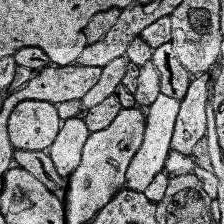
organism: Human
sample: Temporal Lobe